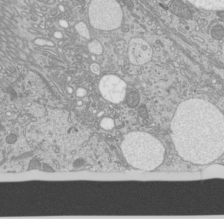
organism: Mouse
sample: Cilia; mouse epididymis